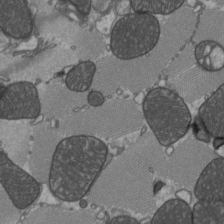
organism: C57BL Mouse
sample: Heart